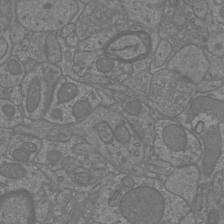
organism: Mouse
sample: Cortical neurons